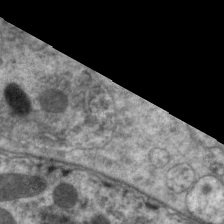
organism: C. elegans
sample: Pharynx